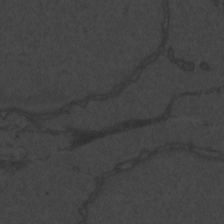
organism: Zebrafish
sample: Macrophage infected with Toxoplasma gondii